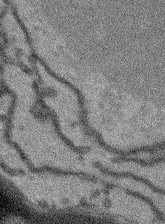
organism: Arabidopsis thaliana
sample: Root tip